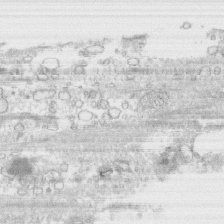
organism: Human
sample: CRL-1474